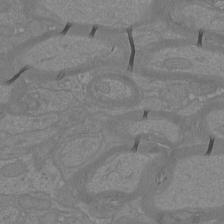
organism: Mouse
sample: Cortical neurons